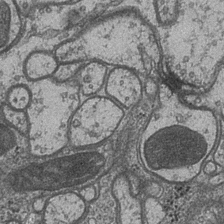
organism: Drosophila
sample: Optic medulla